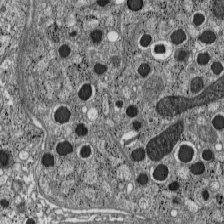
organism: C57BL Mouse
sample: Pancreatic islet